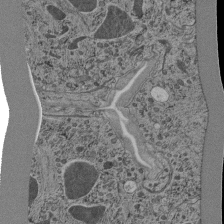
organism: C. elegans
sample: C. elegans pharynx